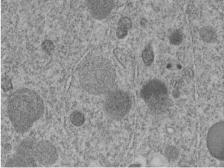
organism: C. elegans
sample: C. elegans embryo early stage